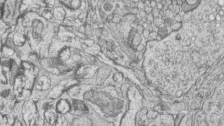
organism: Zebrafish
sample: synaptic ribbons in rod cells and cone cells